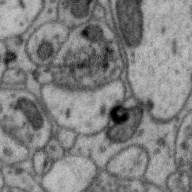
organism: Zebra finch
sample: Brain